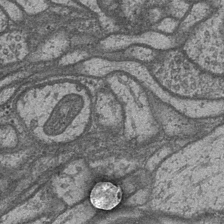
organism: Drosophila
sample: Optic medulla